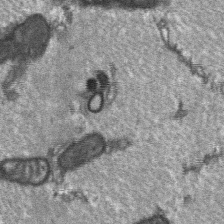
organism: C57BL Mouse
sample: Soleus